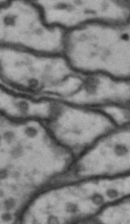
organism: Drosophila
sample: Brain